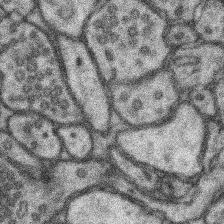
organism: Mouse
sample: Somatosensory cortex neuropil